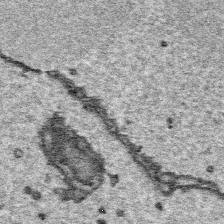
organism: Platynereis dumerilii